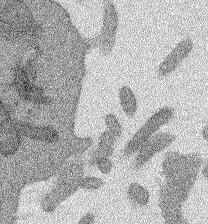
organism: Human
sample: HeLa cells